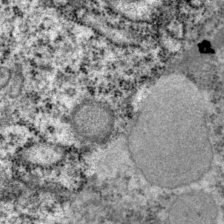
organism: P. pacificus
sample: Pharynx